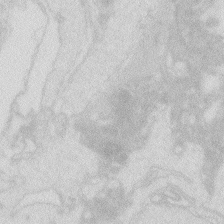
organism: Zebrafish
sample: Macrophage